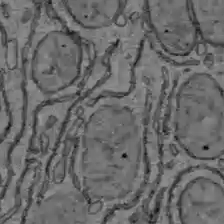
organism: C57BL Mouse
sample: Liver